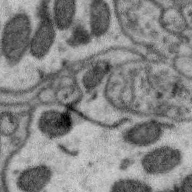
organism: Zebra finch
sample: Brain